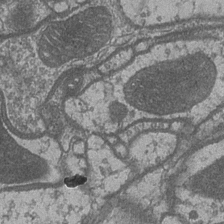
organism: Drosophila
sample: Optic medulla